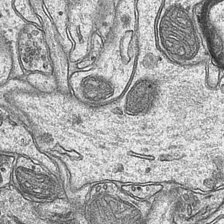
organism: Mouse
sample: CA1 Hippocampus